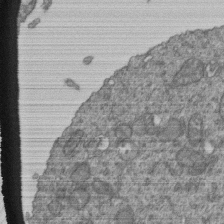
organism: Human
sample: Retinal organoid Rod and Cone cells